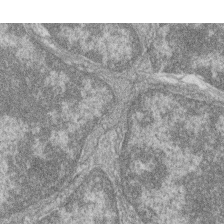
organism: Zebrafish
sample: Cilia; retinal pigment epithelium